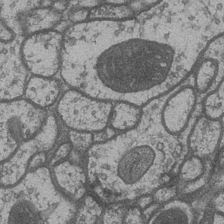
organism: Drosophila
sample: Optic medulla